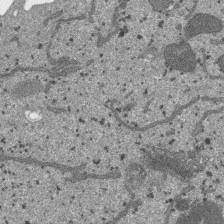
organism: Human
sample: Lung epithelial cells infected with SARS-CoV-2